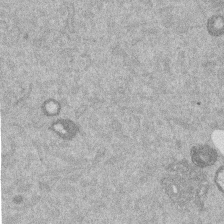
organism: Mouse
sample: Dividing mouse embryo 1 cell stage